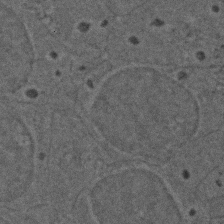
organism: Zebrafish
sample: Zebrafish embryo